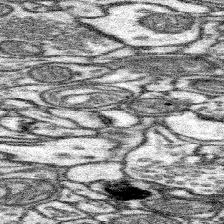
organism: Mouse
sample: Somatosensory cortex neuropil